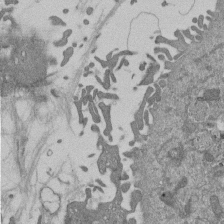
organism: Mouse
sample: ED-1 cell nuclei; centrioles